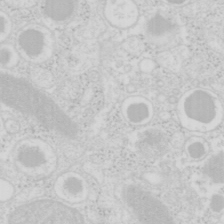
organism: Mouse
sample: Pancreas